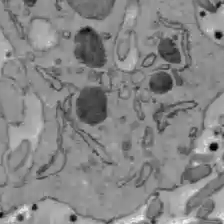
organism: C57BL Mouse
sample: Liver